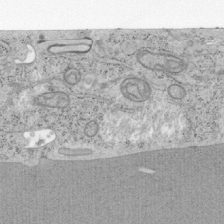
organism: Human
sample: HeLa cells